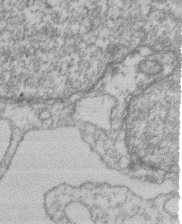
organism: Mouse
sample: T cell stromal cell synapse